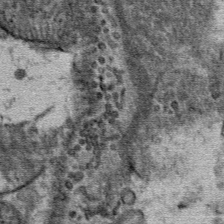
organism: Mouse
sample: Mouse Salivary gland